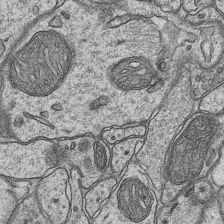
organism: Mouse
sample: CA1 Hippocampus